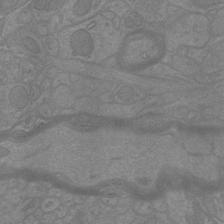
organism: Mouse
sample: Cortical neurons